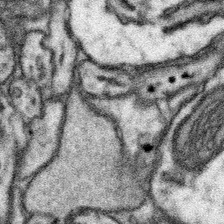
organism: Mouse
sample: Somatosensory cortex neuropil